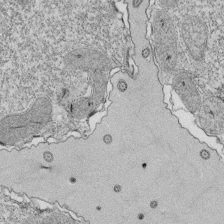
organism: Tetrahymena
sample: Cilia in tetrahymena